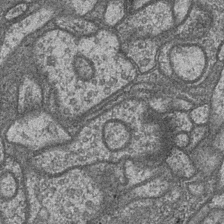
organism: Drosophila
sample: Optic medulla